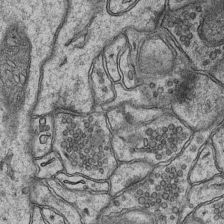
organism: Mouse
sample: CA1 Hippocampus